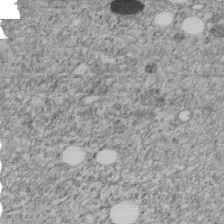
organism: C. elegans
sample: C. elegans embryo early stage